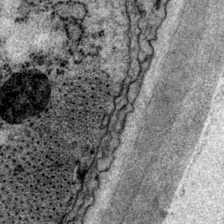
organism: P. pacificus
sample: Pharynx